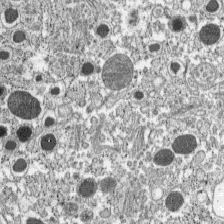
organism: C57BL Mouse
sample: Pancreatic islet